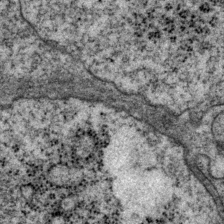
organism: P. pacificus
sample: Pharynx